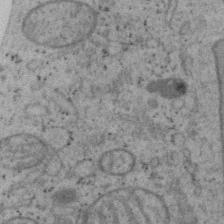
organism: Human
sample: HeLa cells